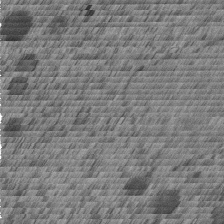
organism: C. elegans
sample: C. elegans embryo early stage